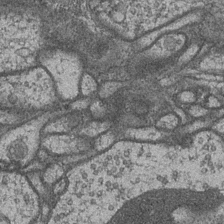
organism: Drosophila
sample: Optic medulla